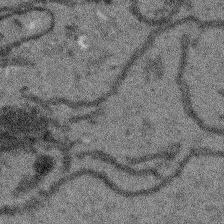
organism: Arabidopsis thaliana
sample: Root tip